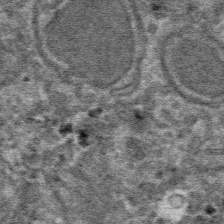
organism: Mouse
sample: Mouse hepatocytes